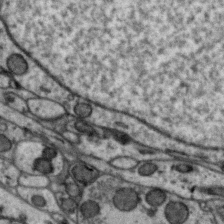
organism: Zebra finch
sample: Brain